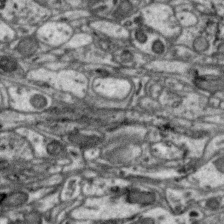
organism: Zebra finch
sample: Brain